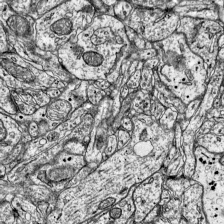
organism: Mouse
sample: Visual Cortex